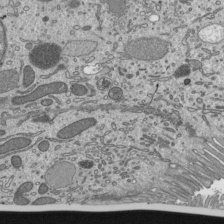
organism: Mouse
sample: Mouse epididymis efferent ductule cilia